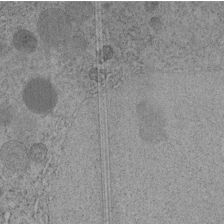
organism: C. elegans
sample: C. elegans embryo early stage